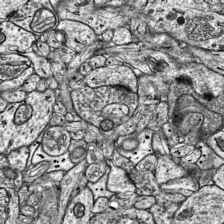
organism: Mouse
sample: Visual Cortex